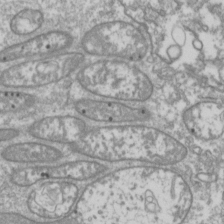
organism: Drosophila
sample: Cell division; meiosis; drosophila spermatocytes